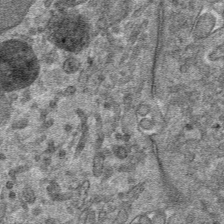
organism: Mouse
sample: Mouse hepatocytes